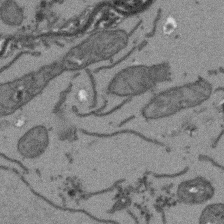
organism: Arabidopsis thaliana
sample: Root tip